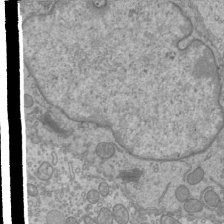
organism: Mouse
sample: Cilia; mouse epididymis